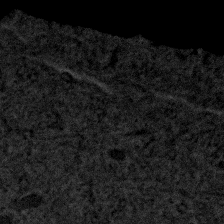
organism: Human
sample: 1205lu cells